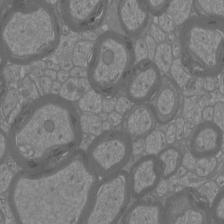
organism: Mouse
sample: Cortical neurons